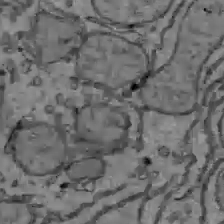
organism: C57BL Mouse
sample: Liver